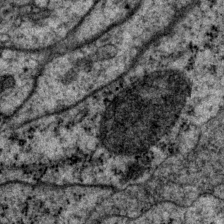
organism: P. pacificus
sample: Pharynx